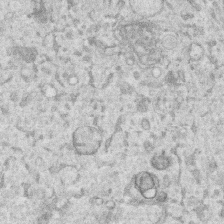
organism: Human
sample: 1205lu cells